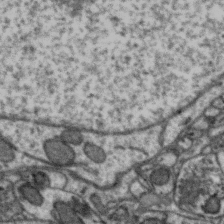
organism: Zebra finch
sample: Brain